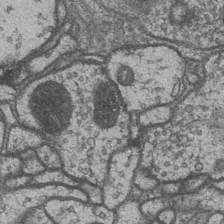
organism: Drosophila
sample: Optic medulla